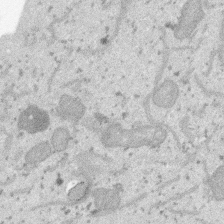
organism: Human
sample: Lung epithelial cells infected with SARS-CoV-2